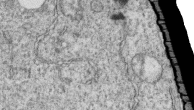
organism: Human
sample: HeLa cell HIV synapse